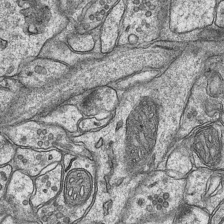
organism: Mouse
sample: CA1 Hippocampus